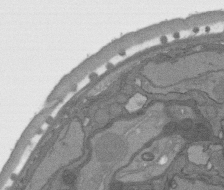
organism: C. elegans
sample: AFD neurons C. elegans